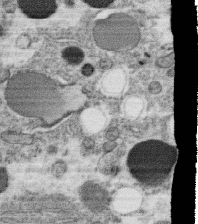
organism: C. elegans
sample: C. elegans oocyte; sperm cells